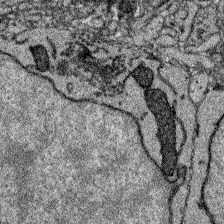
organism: Zebrafish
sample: Larval olfactory bulb